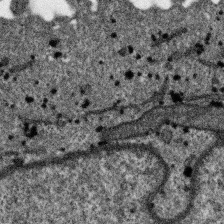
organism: Human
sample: Lung epithelial cells infected with SARS-CoV-2